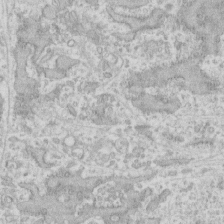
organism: Human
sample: Fibroblast cells